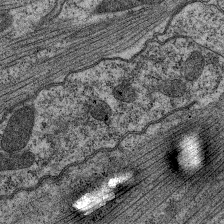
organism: C. elegans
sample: Pharynx